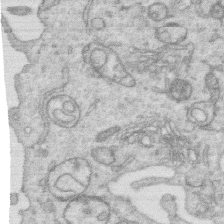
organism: Human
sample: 1205lu cells